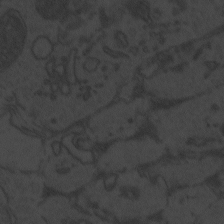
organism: Zebrafish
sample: Macrophage infected with Toxoplasma gondii